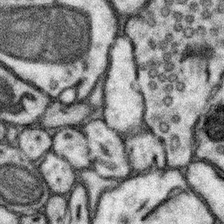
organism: Mouse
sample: Somatosensory cortex neuropil